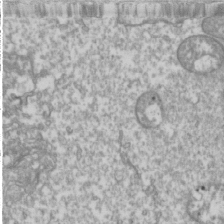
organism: Drosophila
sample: Cell division; meiosis; drosophila spermatocytes